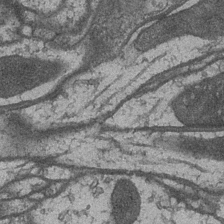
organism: Drosophila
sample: Optic medulla